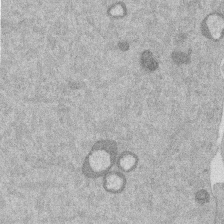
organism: Mouse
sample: Dividing mouse embryo 1 cell stage